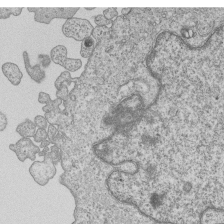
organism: Human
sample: MDA-MB-231 cells